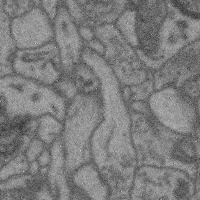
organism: Mouse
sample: Cerebral cortex